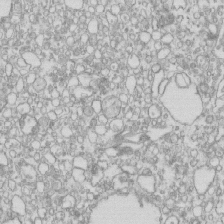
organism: Mouse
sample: Macrophages